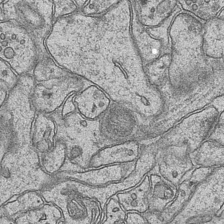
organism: Mouse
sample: CA1 Hippocampus